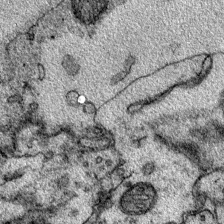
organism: Mouse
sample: Primary visual cortex